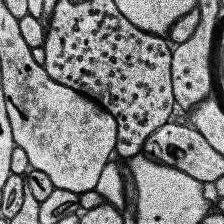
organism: Human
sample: Temporal Lobe